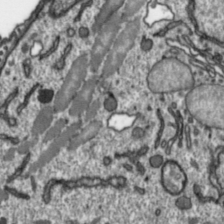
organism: Toxoplasma gondii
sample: Parasites in a vacuole inside a host cell